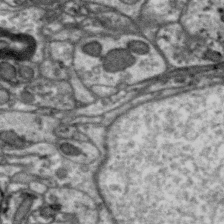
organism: Zebra finch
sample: Brain